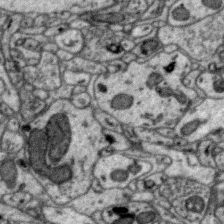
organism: Zebra finch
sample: Brain